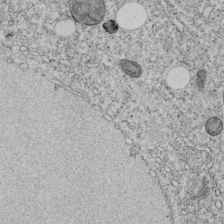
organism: C. elegans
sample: C. elegans embryo early stage